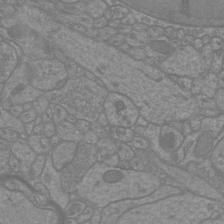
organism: Mouse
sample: Cortical neurons